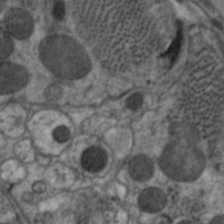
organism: C. elegans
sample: Pharynx